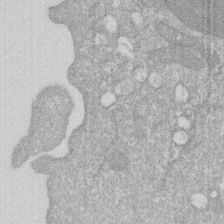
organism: Human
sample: HIV infected U937 cells